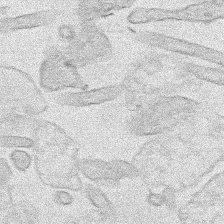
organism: Human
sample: Mitochondria in HCT116 cells